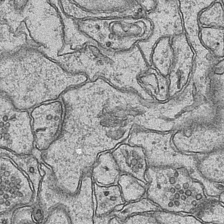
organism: Mouse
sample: CA1 Hippocampus